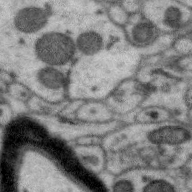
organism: Zebra finch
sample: Brain